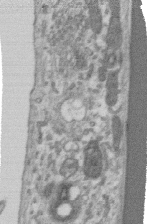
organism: Human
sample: Centriole in RPE cells